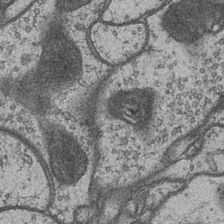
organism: Drosophila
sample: Optic medulla